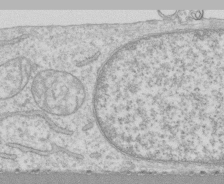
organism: Human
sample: CRL-1474